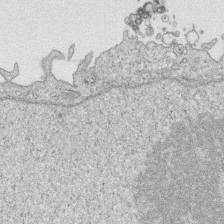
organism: Human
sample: HeLa cell HIV synapse